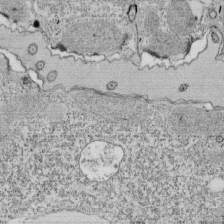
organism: Tetrahymena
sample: Cilia in tetrahymena